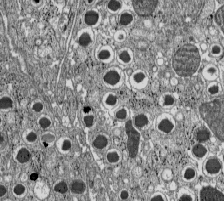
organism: C57BL Mouse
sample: Pancreatic islet